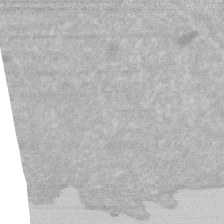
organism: Human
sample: HIV infected U937 cells